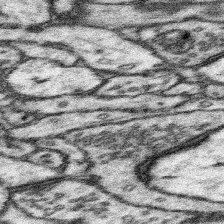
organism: Mouse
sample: Somatosensory cortex neuropil